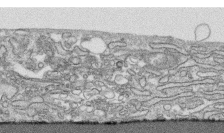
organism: Human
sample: CRL-1474